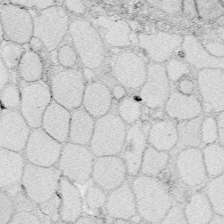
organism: Zebrafish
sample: Whole-Brain